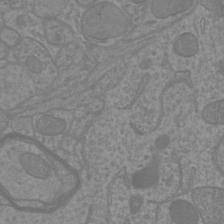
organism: Mouse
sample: Cortical neurons